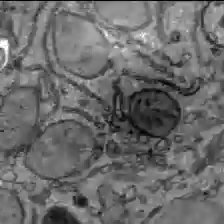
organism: C57BL Mouse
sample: Liver